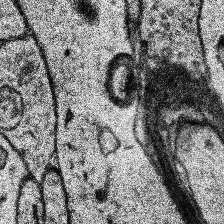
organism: Human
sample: Temporal Lobe